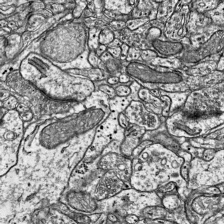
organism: Mouse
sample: Visual Cortex